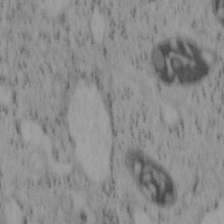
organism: Mouse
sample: OT-I killer T cells with ID8 ovarian cancer cells